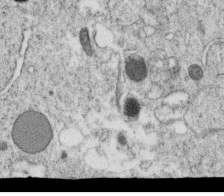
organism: C. elegans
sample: C. elegans oocyte; sperm cells